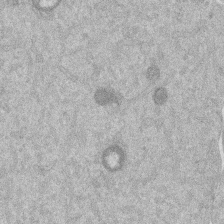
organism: Mouse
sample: Dividing mouse embryo 1 cell stage